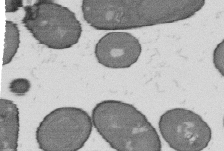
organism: B. subtilis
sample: Bacterial spore